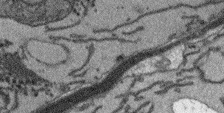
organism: Arabidopsis thaliana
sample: Root tip